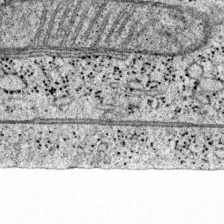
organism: Human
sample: HeLa cells